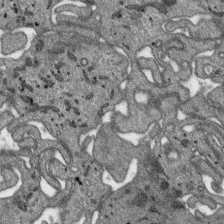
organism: Human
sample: Lung epithelial cells, uninfected (mock) control